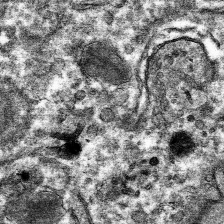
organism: Mouse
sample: Mouse hepatocytes